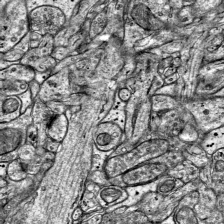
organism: Mouse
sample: Visual Cortex